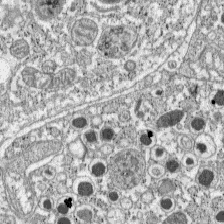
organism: C57BL Mouse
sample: Pancreatic islet